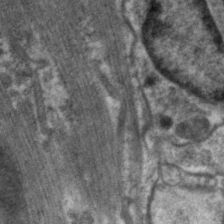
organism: C. elegans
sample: Pharynx